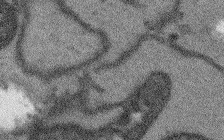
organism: Arabidopsis thaliana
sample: Root tip